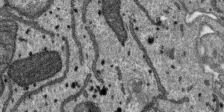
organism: Human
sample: Lung epithelial cells, uninfected (mock) control